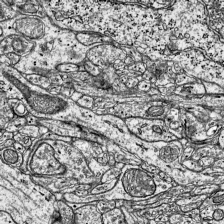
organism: Mouse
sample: Visual Cortex